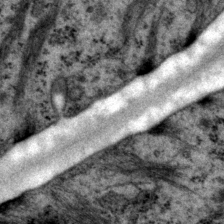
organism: P. pacificus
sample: Pharynx